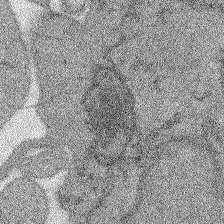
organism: Human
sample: HeLa cells